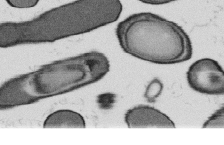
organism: B. subtilis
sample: Bacterial spore